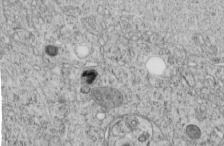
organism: C. elegans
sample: C. elegans embryo early stage